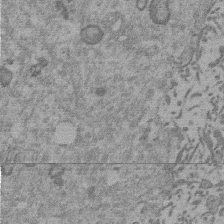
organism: Mouse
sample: Dividing mouse embryo 1 cell stage